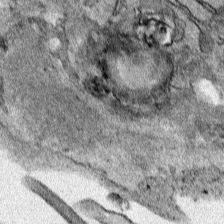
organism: Human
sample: Mitochondria in HCT116 cells